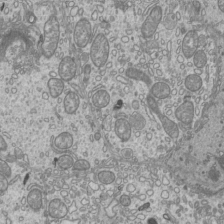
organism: Mouse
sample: Cilia; mouse epididymis